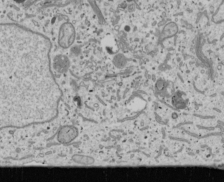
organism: Human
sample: Mitochondria in U2OS cells